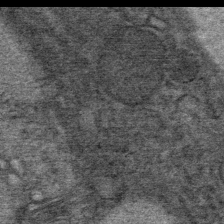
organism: Mouse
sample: Mouse Salivary gland